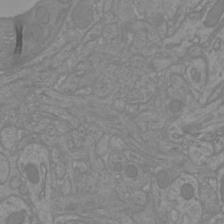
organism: Mouse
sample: Cortical neurons